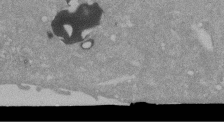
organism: Mouse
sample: ED-1 cell nuclei; centrioles